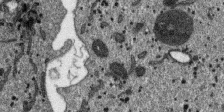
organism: Human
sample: Lung epithelial cells infected with SARS-CoV-2